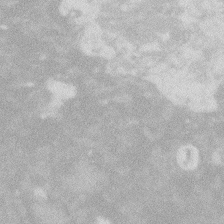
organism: Zebrafish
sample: Macrophage